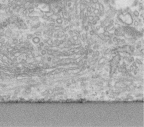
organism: Human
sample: Centriole in fibroblast cells